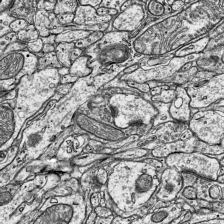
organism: Mouse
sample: Visual Cortex